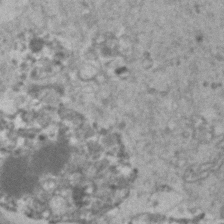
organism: Human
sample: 1205lu cells